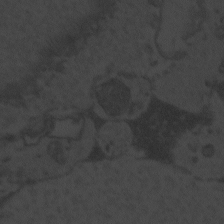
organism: Zebrafish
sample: Macrophage infected with Toxoplasma gondii